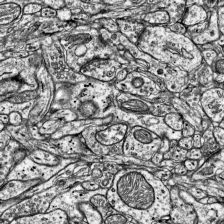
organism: Mouse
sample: Visual Cortex